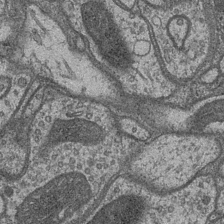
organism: Drosophila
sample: Optic medulla